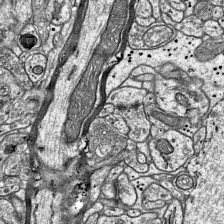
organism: Mouse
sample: Visual Cortex